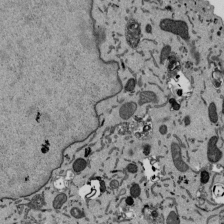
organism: Mouse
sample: ED-1 cell nuclei; centrioles